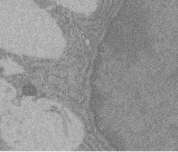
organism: Rat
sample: Salivary granule